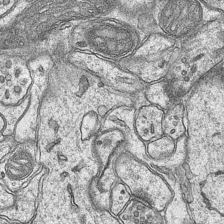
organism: Mouse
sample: CA1 Hippocampus